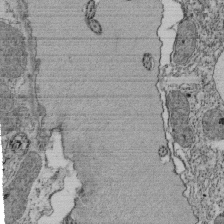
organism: Tetrahymena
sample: Cilia in tetrahymena